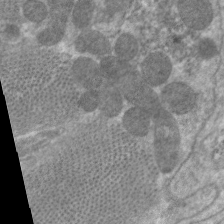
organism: C. elegans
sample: Pharynx